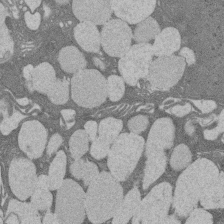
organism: Rat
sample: Salivary granule